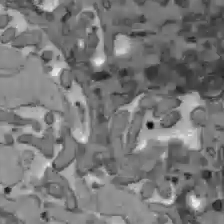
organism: C57BL Mouse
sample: Liver